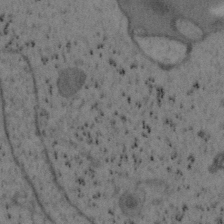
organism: Human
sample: HeLa cells